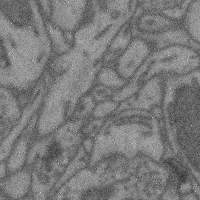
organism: Mouse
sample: Cerebral cortex